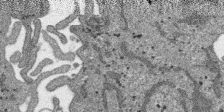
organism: Human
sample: Lung epithelial cells infected with SARS-CoV-2